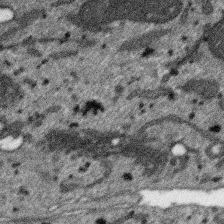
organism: Human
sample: Lung epithelial cells infected with SARS-CoV-2